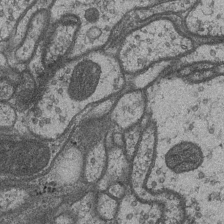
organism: Drosophila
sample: Optic medulla